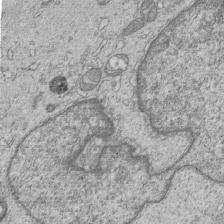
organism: Human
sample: MDA-MB-231 cells